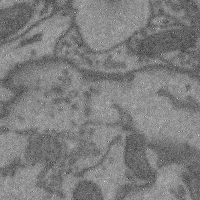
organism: Mouse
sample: Cerebral cortex